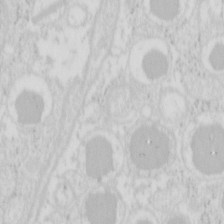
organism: Mouse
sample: Pancreas